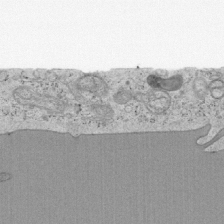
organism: Human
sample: HeLa cells